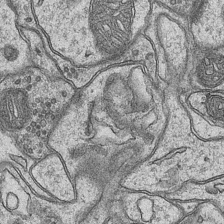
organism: Mouse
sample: CA1 Hippocampus